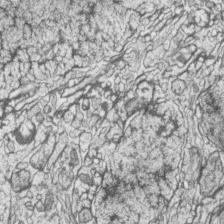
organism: Zebrafish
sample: synaptic ribbons in rod cells and cone cells